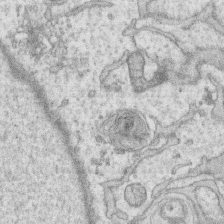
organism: Human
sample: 1205lu cells